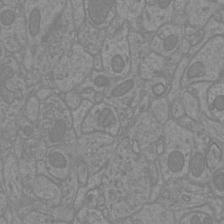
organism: Mouse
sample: Cortical neurons